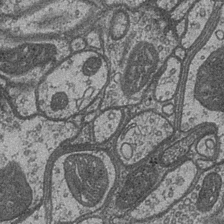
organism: Drosophila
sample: Optic medulla